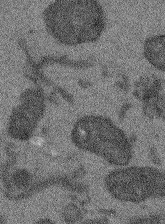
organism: Arabidopsis thaliana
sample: Root tip